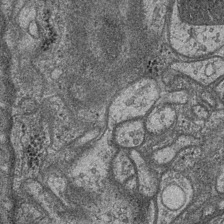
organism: Drosophila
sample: Optic medulla